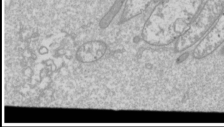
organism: Drosophila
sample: Cell division; meiosis; drosophila spermatocytes